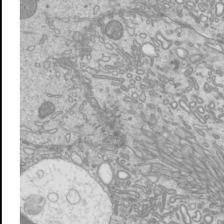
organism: Mouse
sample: Cilia; mouse epididymis